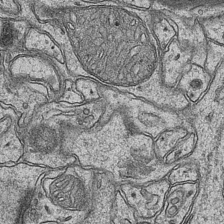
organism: Mouse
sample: CA1 Hippocampus